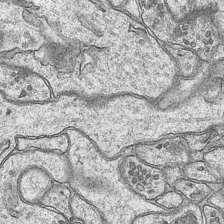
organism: Mouse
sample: CA1 Hippocampus